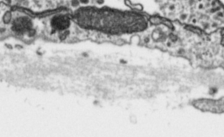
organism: Toxoplasma gondii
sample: Parasites in a vacuole inside a host cell